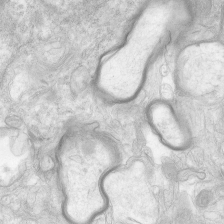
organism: Human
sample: Neocortex